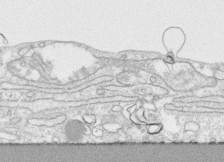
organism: Human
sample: CRL-1474